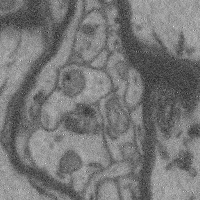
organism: Mouse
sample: Cerebral cortex